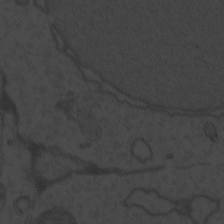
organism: Zebrafish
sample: Macrophage infected with Toxoplasma gondii